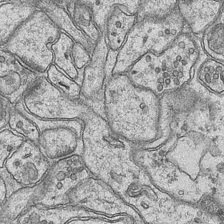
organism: Mouse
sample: CA1 Hippocampus